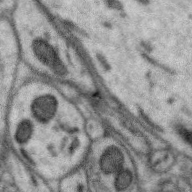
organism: Zebra finch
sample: Brain